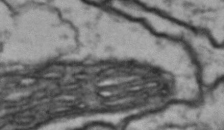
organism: Drosophila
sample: Brain